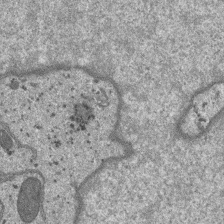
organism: Human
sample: Lung epithelial cells infected with SARS-CoV-2